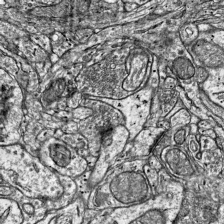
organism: Mouse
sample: Visual Cortex